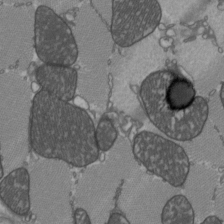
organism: C57BL Mouse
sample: Heart